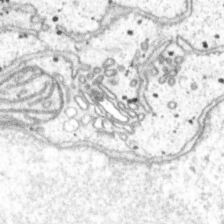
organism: Human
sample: HeLa cells